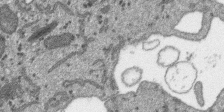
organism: Human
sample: Lung epithelial cells infected with SARS-CoV-2